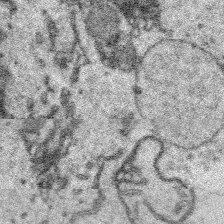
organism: Platynereis dumerilii